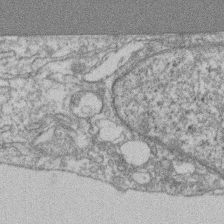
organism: Mouse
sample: T cell stromal cell synapse